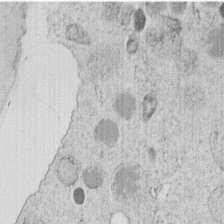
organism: C. elegans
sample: C. elegans embryo early stage